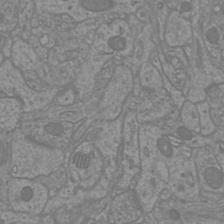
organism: Mouse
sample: Cortical neurons